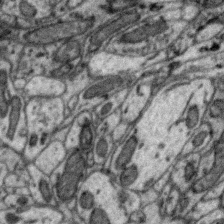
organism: Zebra finch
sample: Brain